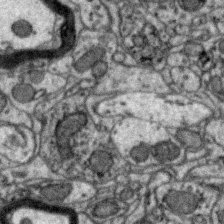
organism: Zebra finch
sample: Brain